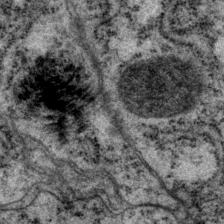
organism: P. pacificus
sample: Pharynx